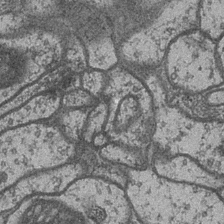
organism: Drosophila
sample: Optic medulla